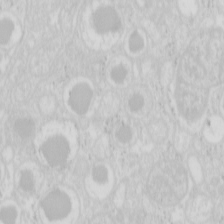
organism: Mouse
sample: Pancreas